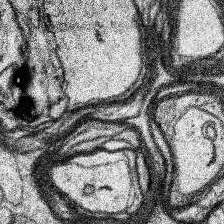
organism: Human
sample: Temporal Lobe